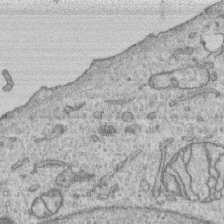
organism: Human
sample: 1205lu cells